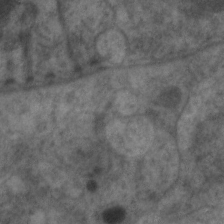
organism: C. elegans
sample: Pharynx